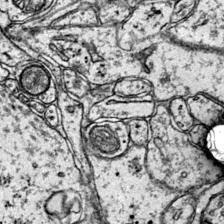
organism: Mouse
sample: Primary visual cortex